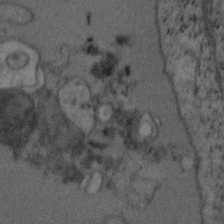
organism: Human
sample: HeLa cells